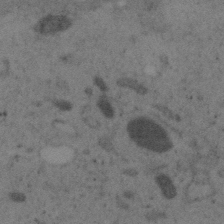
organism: Human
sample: HeLa cells